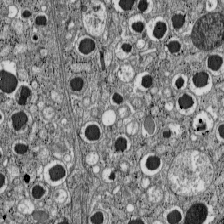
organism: C57BL Mouse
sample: Pancreatic islet